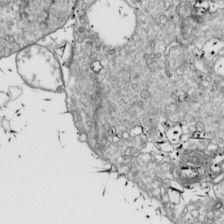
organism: Drosophila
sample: Cell division; meiosis; drosophila spermatocytes